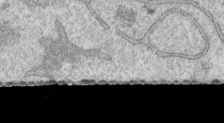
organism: Human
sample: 1205lu cells